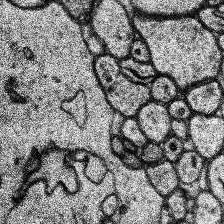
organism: Human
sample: Temporal Lobe